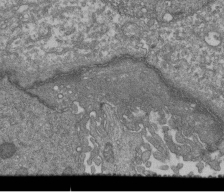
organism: Human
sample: Retinal organoid Rod and Cone cells